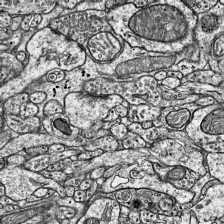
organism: Mouse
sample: Visual Cortex